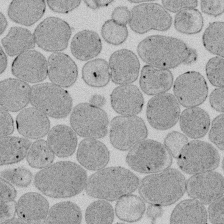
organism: E. coli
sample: Bacterial nucleoid